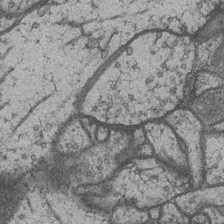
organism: Drosophila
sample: Optic medulla